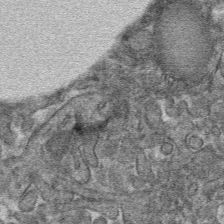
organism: Mouse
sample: Mouse hepatocytes